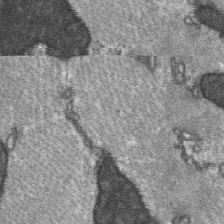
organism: C57BL Mouse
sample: Soleus